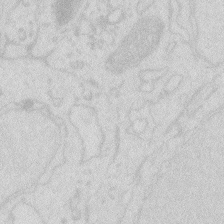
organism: Zebrafish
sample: Macrophage